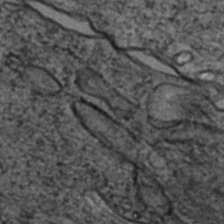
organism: Zebrafish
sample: Zebrafish embryo